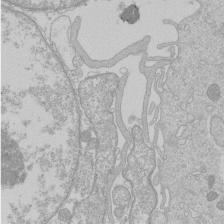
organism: Human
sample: Macrophage cells